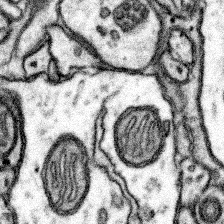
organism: Mouse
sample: Somatosensory cortex neuropil